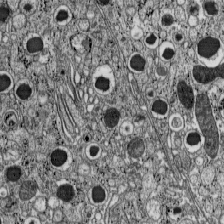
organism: C57BL Mouse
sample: Pancreatic islet